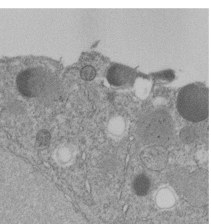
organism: C. elegans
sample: C. elegans embryo early stage